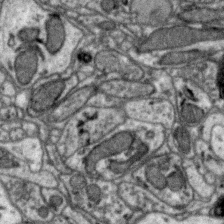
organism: Zebra finch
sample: Brain